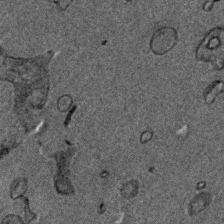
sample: Trachea